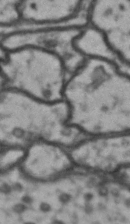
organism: Drosophila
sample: Brain